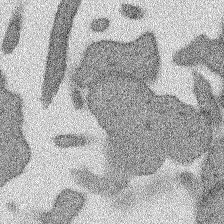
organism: Human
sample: HeLa cells